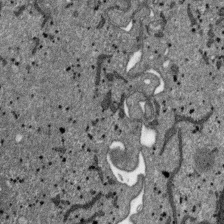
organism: Human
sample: Lung epithelial cells, uninfected (mock) control